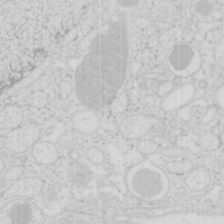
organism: Mouse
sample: Pancreas